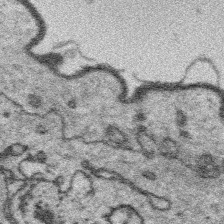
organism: Platynereis dumerilii